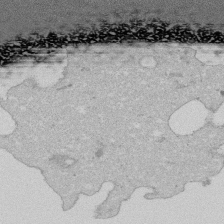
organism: Human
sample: Activated Jurkat CD4+ T cells